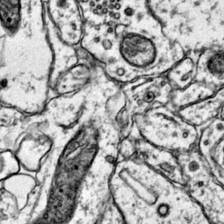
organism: Mouse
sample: Primary visual cortex